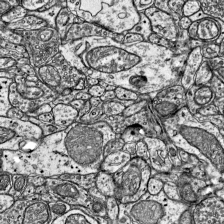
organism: Mouse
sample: Visual Cortex